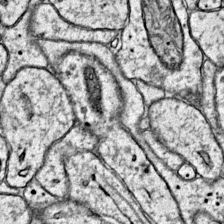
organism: Mouse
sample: Primary visual cortex